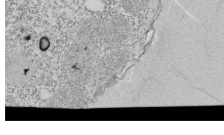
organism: Tetrahymena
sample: Cilia in tetrahymena